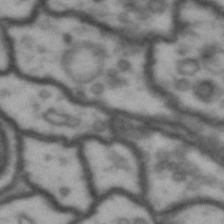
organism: Drosophila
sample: Brain